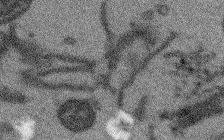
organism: Arabidopsis thaliana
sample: Root tip